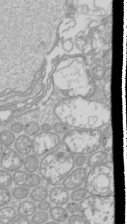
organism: Drosophila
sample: Cell division; meiosis; drosophila spermatocytes